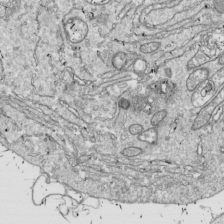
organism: Drosophila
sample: Cell division; meiosis; drosophila spermatocytes